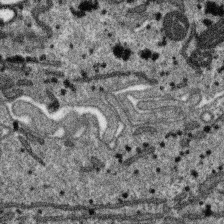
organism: Human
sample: Lung epithelial cells infected with SARS-CoV-2